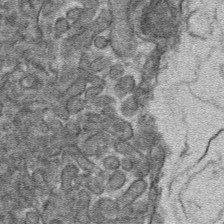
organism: Mouse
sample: Mouse hepatocytes